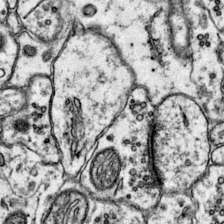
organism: Mouse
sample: Primary visual cortex